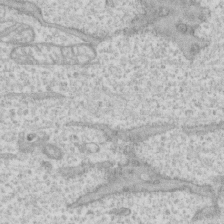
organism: Human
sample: CRL-1474